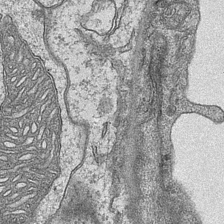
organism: Mouse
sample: CA1 Hippocampus